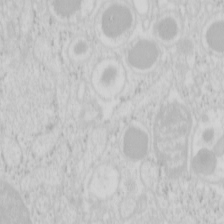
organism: Mouse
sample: Pancreas